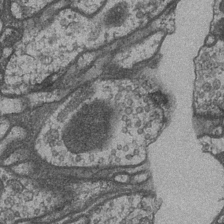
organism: Drosophila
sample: Optic medulla